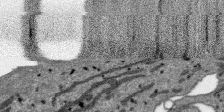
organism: Human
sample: Lung epithelial cells, uninfected (mock) control